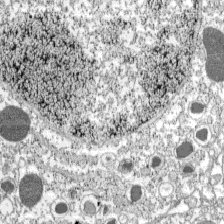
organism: C57BL Mouse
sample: Pancreatic islet